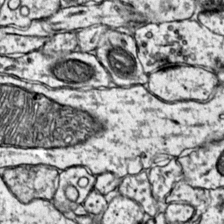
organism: Mouse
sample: Primary visual cortex